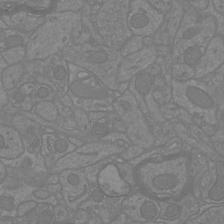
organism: Mouse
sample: Cortical neurons